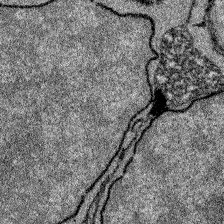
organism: Zebrafish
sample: Larval olfactory bulb